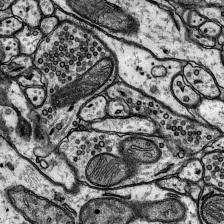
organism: Rat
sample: Hippocampus